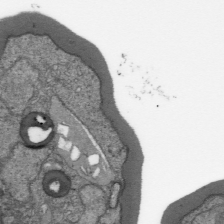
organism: Plasmodium falciparum